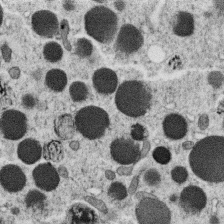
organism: C. elegans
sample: C. elegans oocyte; sperm cells